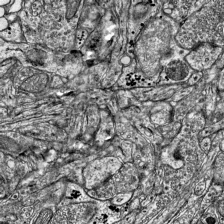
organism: Mouse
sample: Visual Cortex